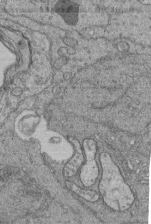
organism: Human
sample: Retinal organoid Rod and Cone cells